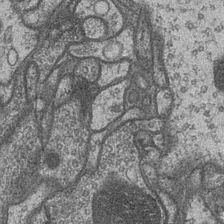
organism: Drosophila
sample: Optic medulla